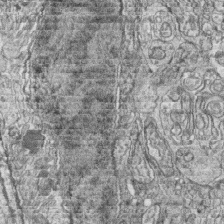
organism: Zebrafish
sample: synaptic ribbons in rod cells and cone cells